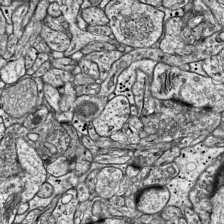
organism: Mouse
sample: Visual Cortex